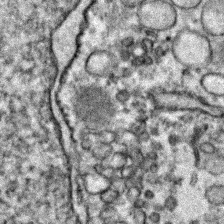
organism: Zebrafish